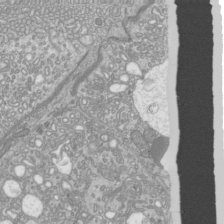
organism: Mouse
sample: Cilia; mouse epididymis